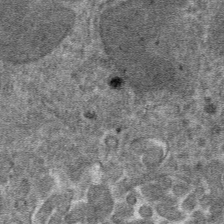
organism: Mouse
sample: Mouse hepatocytes